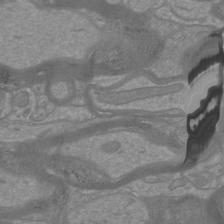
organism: Mouse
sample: Cortical neurons